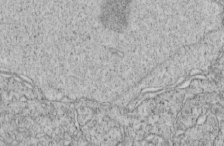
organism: C. elegans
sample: C. elegans embryo early stage